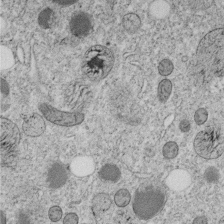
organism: C. elegans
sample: C. elegans embryo early stage